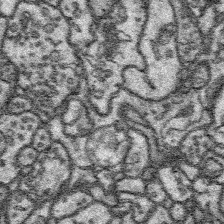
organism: Platynereis dumerilii